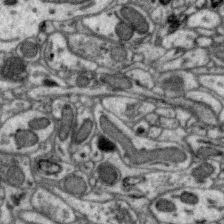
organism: Zebra finch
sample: Brain